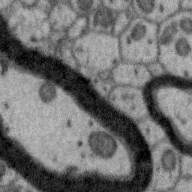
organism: Zebra finch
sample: Brain